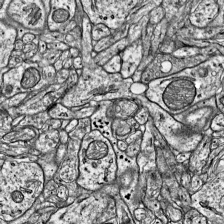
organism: Mouse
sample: Visual Cortex